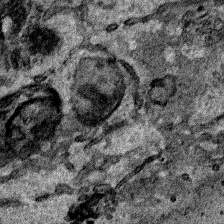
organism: Human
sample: Mitochondria in HCT116 cells